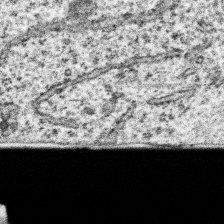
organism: Human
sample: HeLa cells